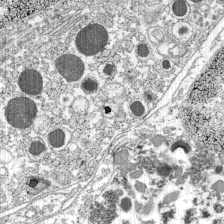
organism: C57BL Mouse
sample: Pancreatic islet